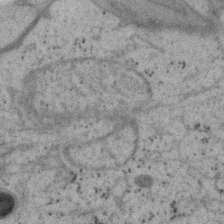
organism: Human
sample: HeLa cells